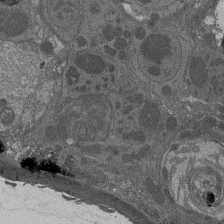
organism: Drosophila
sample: Antenna